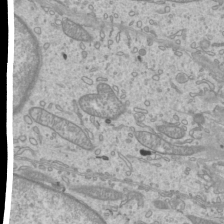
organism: Mouse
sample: Cilia; mouse epididymis